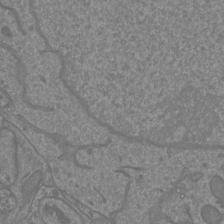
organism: Mouse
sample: Cortical neurons